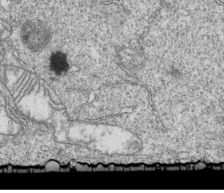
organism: Human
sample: HeLa cell HIV synapse